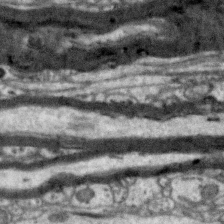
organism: Zebra finch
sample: Brain